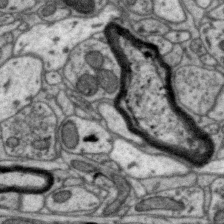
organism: Zebra finch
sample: Brain